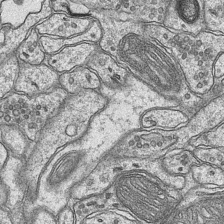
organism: Mouse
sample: CA1 Hippocampus